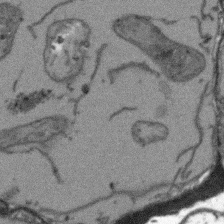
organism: Arabidopsis thaliana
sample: Root tip